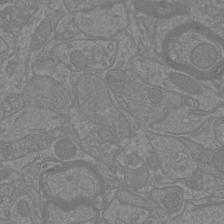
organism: Mouse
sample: Cortical neurons